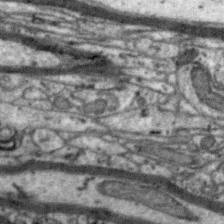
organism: Zebra finch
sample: Brain